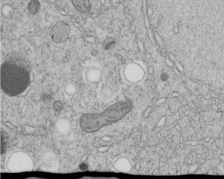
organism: C. elegans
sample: C. elegans embryo early stage